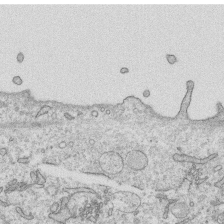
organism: Human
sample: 1205lu cells